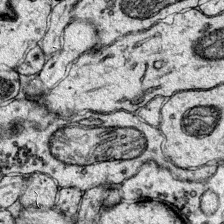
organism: Mouse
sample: Primary visual cortex